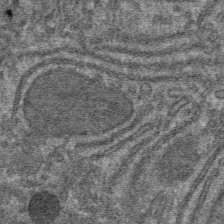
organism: Mouse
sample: Mouse hepatocytes